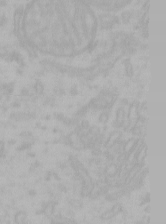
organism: Mouse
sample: Choroid plexus